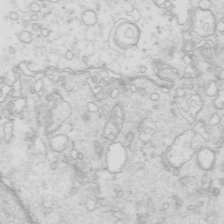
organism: Mouse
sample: Multiciliated cells